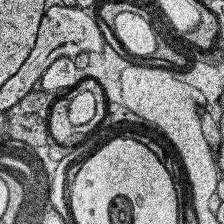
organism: Human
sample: Temporal Lobe